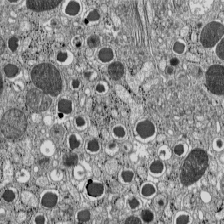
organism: C57BL Mouse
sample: Pancreatic islet